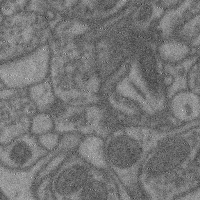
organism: Mouse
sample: Cerebral cortex